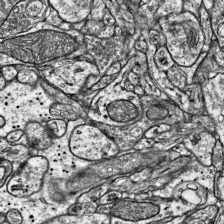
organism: Mouse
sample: Visual Cortex